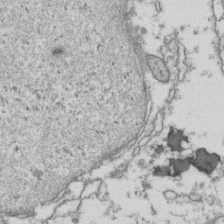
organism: Human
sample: Activated Jurkat CD4+ T cells